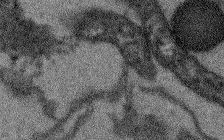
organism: Arabidopsis thaliana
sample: Root tip